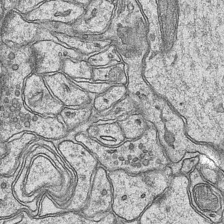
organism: Mouse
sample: CA1 Hippocampus